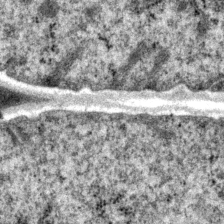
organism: P. pacificus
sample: Pharynx